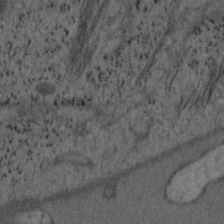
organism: Human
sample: HeLa cells